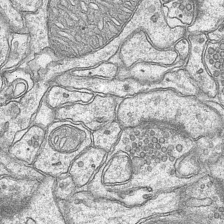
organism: Mouse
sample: CA1 Hippocampus